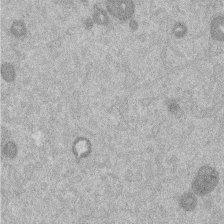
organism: Mouse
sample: Dividing mouse embryo 1 cell stage